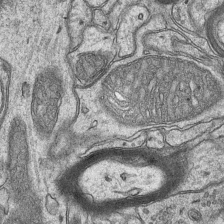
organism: Mouse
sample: CA1 Hippocampus